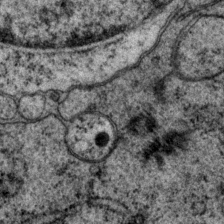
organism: P. pacificus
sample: Pharynx